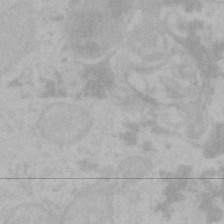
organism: Mouse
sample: Choroid plexus